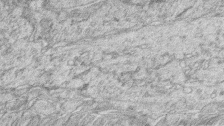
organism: Zebrafish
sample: synaptic ribbons in rod cells and cone cells